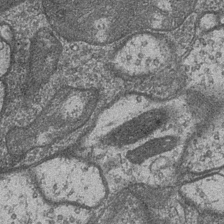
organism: Drosophila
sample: Optic medulla